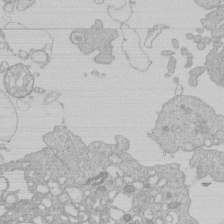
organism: Human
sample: Macrophage cells